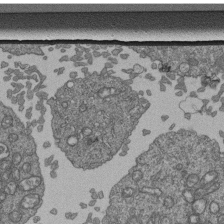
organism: Human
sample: Retinal organoid Rod and Cone cells